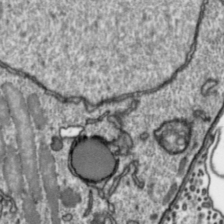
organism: Toxoplasma gondii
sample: Parasites in a vacuole inside a host cell